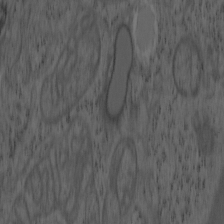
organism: Human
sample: HeLa cells